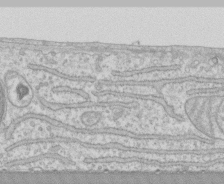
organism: Human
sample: CRL-1474